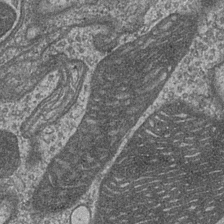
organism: Drosophila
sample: Optic medulla